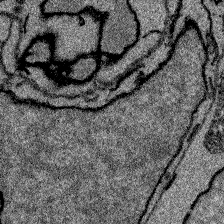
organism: Zebrafish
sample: Larval olfactory bulb